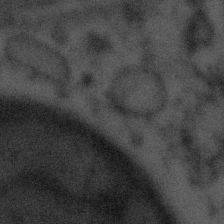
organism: Tuwongella immobilis